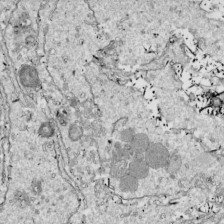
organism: Drosophila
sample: Cell division; meiosis; drosophila spermatocytes